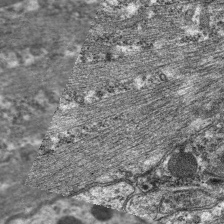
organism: C. elegans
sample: Pharynx